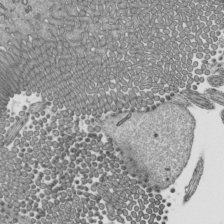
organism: Mouse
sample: Mouse epididymis efferent ductule cilia